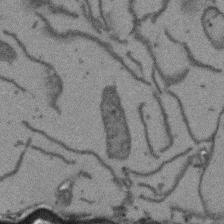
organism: Arabidopsis thaliana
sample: Root tip